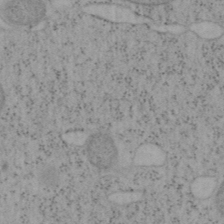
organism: Mouse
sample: OT-I killer T cells with ID8 ovarian cancer cells